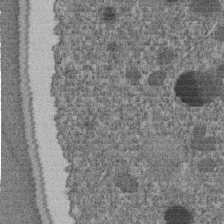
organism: C. elegans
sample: C. elegans embryo early stage